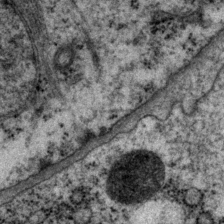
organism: P. pacificus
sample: Pharynx